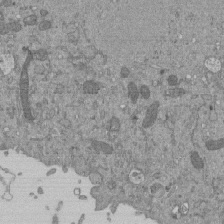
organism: Mouse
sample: ED-1 cell nuclei; centrioles